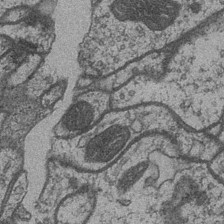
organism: Drosophila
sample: Optic medulla